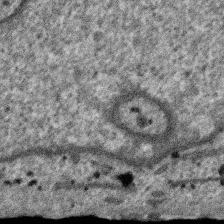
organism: Human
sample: Lung epithelial cells infected with SARS-CoV-2